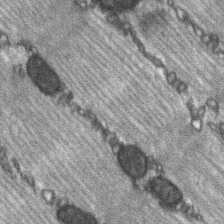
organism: C57BL Mouse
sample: Soleus